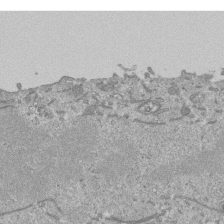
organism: Mouse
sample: ED-1 cell nuclei; centrioles